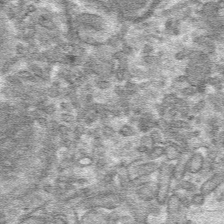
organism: Mouse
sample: Mouse hepatocytes